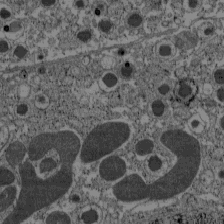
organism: C57BL Mouse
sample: Pancreatic islet